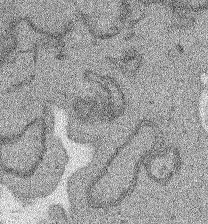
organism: Human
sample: HeLa cells